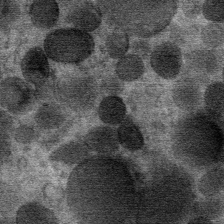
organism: Mouse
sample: Mouse Salivary gland